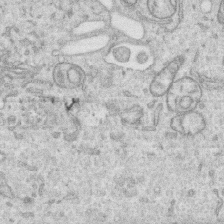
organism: Human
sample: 1205lu cells